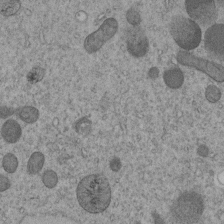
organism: C. elegans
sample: C. elegans embryo early stage